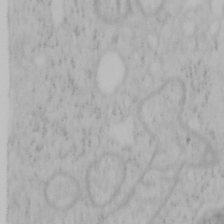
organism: Mouse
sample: OT-I killer T cells with ID8 ovarian cancer cells